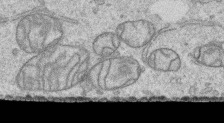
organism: Human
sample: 1205lu cells